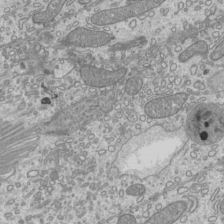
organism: Mouse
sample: Cilia; mouse epididymis